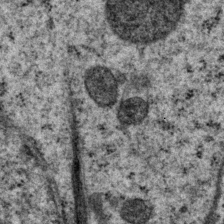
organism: P. pacificus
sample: Pharynx